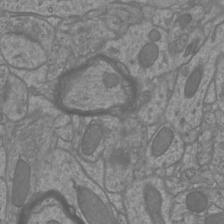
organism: Mouse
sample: Cortical neurons